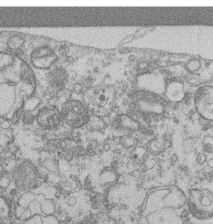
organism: Mouse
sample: T cell stromal cell synapse